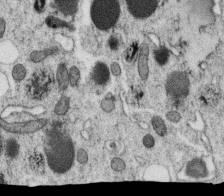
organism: C. elegans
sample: C. elegans oocyte; sperm cells